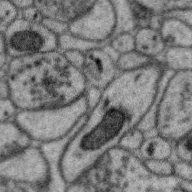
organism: Zebra finch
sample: Brain